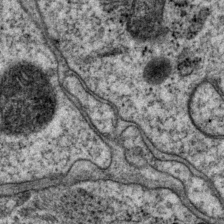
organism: P. pacificus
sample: Pharynx